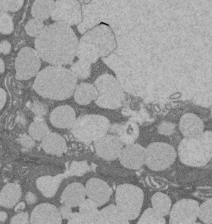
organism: Rat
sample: Salivary granule